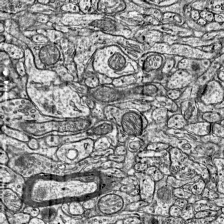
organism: Mouse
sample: Visual Cortex